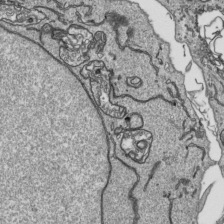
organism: Human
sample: Mitochondria in HCT116 cells